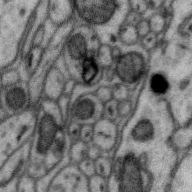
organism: Zebra finch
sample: Brain